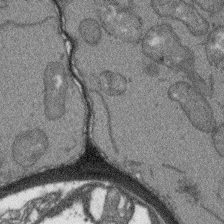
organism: Arabidopsis thaliana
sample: Root tip